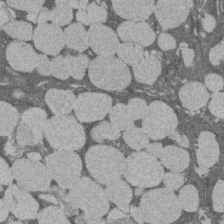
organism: Rat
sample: Salivary granule